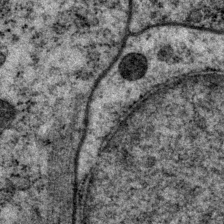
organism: P. pacificus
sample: Pharynx